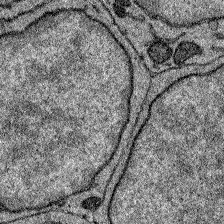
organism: Zebrafish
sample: Larval olfactory bulb